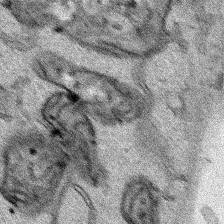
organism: Human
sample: Mitochondria in HCT116 cells